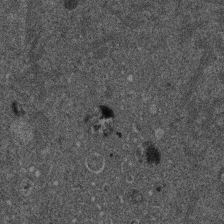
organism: Mouse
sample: Dividing mouse embryo 1 cell stage